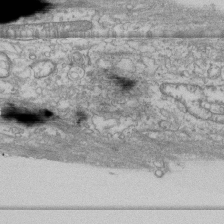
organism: Human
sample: Fibroblast cells